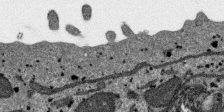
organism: Human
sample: Lung epithelial cells, uninfected (mock) control